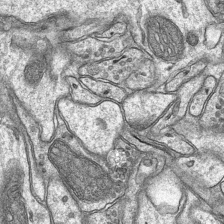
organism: Mouse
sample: CA1 Hippocampus